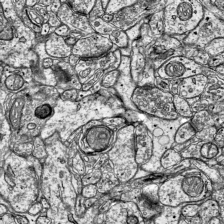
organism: Mouse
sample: Visual Cortex